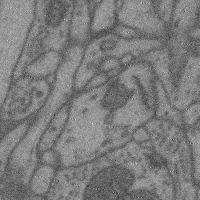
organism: Mouse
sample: Cerebral cortex